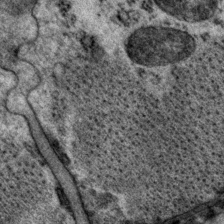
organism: P. pacificus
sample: Pharynx